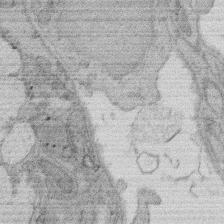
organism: Rat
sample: Salivary granule